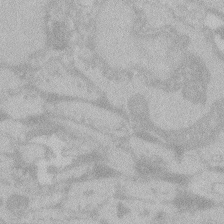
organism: Zebrafish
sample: Macrophage infected with Toxoplasma gondii